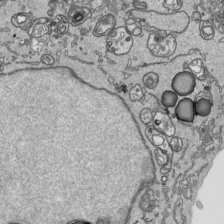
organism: Human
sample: Mitochondria in HCT116 cells